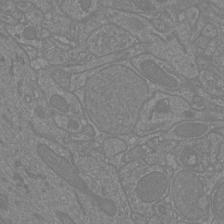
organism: Mouse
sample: Cortical neurons